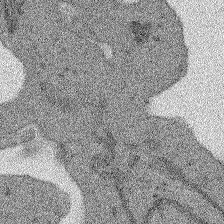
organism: Human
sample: HeLa cells